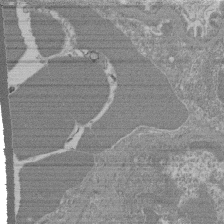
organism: Mouse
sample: Glomerulus